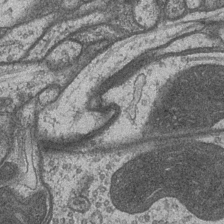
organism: Drosophila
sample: Optic medulla